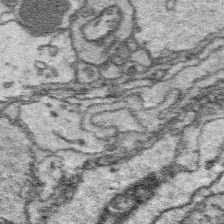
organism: Platynereis dumerilii